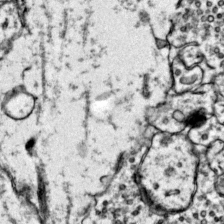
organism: Mouse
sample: Primary visual cortex